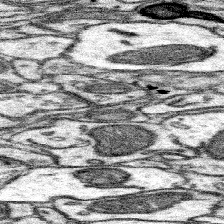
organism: Mouse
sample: Somatosensory cortex neuropil